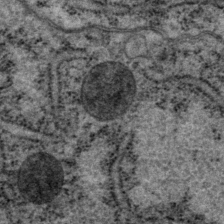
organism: P. pacificus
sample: Pharynx